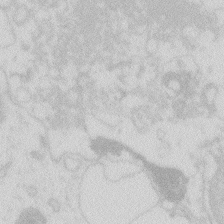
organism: Zebrafish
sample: Macrophage